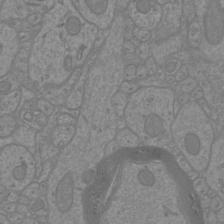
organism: Mouse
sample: Cortical neurons